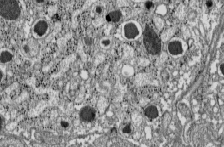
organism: C57BL Mouse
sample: Pancreatic islet